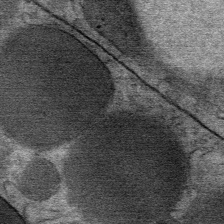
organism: Mouse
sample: Mouse Salivary gland